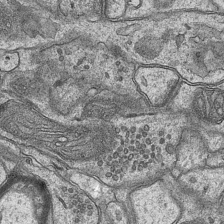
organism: Mouse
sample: CA1 Hippocampus